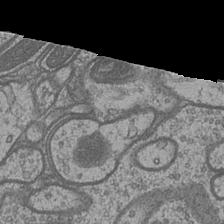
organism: Drosophila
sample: Optic medulla